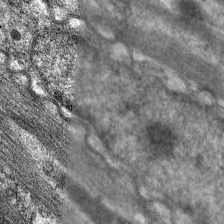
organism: C. elegans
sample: Pharynx